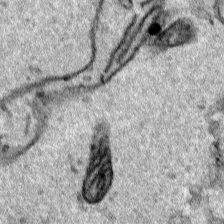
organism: Human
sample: Mitochondria in HCT116 cells